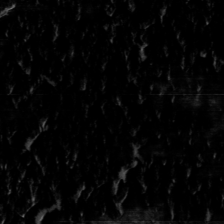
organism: Toxoplasma gondii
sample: Parasites in a vacuole inside a host cell